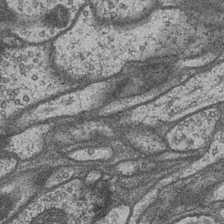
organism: Drosophila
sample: Optic medulla